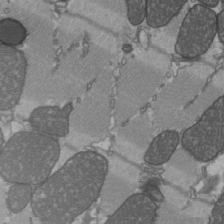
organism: C57BL Mouse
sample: Heart